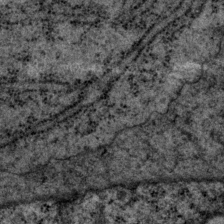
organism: P. pacificus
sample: Pharynx